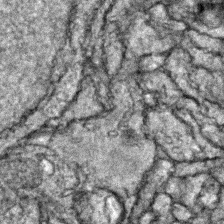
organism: Zebrafish